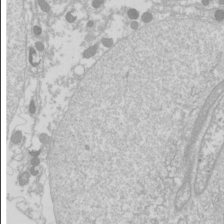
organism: Drosophila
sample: Cell division; meiosis; drosophila spermatocytes